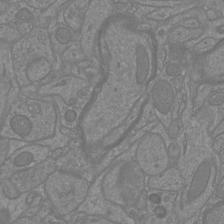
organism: Mouse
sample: Cortical neurons